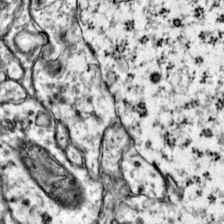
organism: Mouse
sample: Primary visual cortex